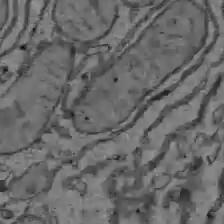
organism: C57BL Mouse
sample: Liver